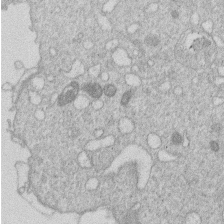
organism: Human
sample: Macrophage cells